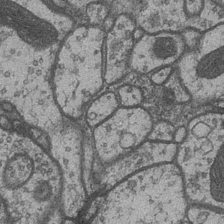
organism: Drosophila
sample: Optic medulla